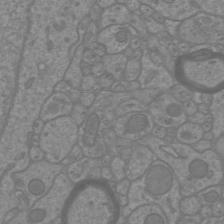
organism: Mouse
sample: Cortical neurons